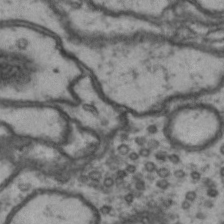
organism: Drosophila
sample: Brain